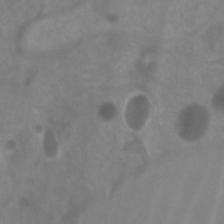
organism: Zebrafish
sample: Zebrafish embryo